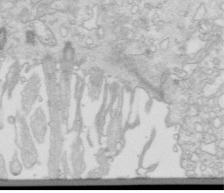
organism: Mouse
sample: Multiciliated cells